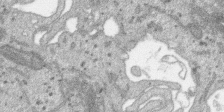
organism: Human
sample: Lung epithelial cells infected with SARS-CoV-2